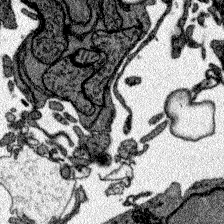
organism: Zebrafish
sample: Larval olfactory bulb